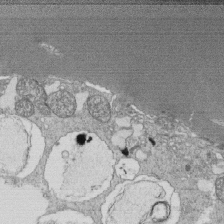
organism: Tetrahymena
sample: Cilia in tetrahymena